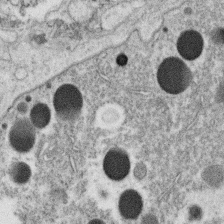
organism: C. elegans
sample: C. elegans oocyte; sperm cells